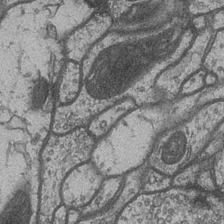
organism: Drosophila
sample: Optic medulla